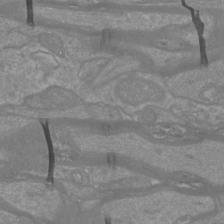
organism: Mouse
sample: Cortical neurons